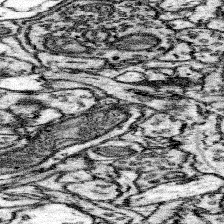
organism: Mouse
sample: Somatosensory cortex neuropil